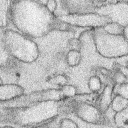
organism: Rabbit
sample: Retina